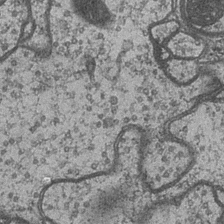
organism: Drosophila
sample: Optic medulla